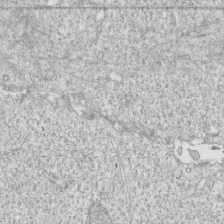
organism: Human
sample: HeLa cell HIV synapse